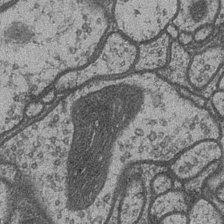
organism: Drosophila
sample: Optic medulla